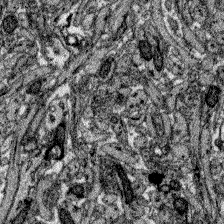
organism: Zebrafish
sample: Larval olfactory bulb